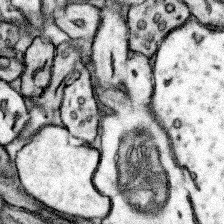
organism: Mouse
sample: Somatosensory cortex neuropil